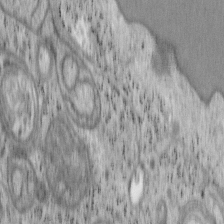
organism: Human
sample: HeLa cells